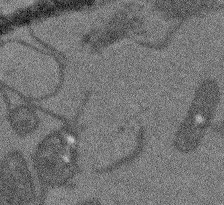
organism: Arabidopsis thaliana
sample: Root tip